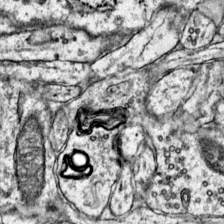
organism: Mouse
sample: Primary visual cortex